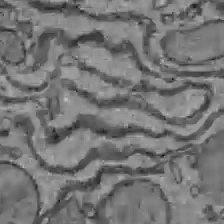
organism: C57BL Mouse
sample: Liver